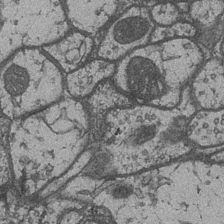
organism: Drosophila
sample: Optic medulla